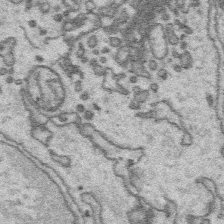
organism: Platynereis dumerilii